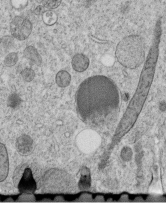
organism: C. elegans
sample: C. elegans embryo early stage